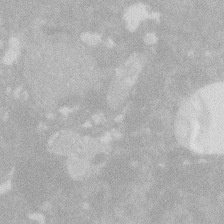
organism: Zebrafish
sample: Macrophage